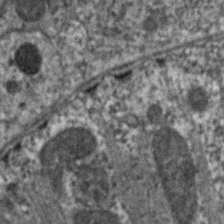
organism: C. elegans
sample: Pharynx